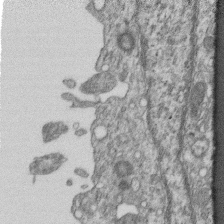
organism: Mouse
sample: Centriole in ependymal cells